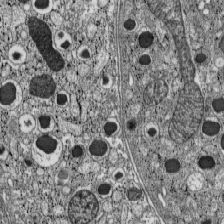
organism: C57BL Mouse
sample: Pancreatic islet